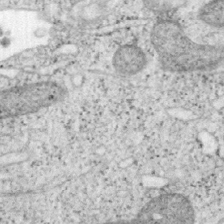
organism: Mouse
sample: OT-I killer T cells with ID8 ovarian cancer cells